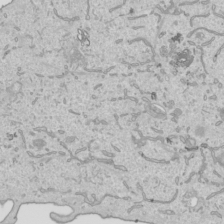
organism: Human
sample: Mitochondria in HCT116 cells